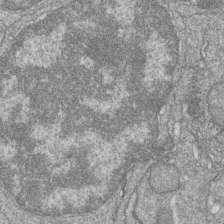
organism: Zebrafish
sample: Cilia; retinal pigment epithelium